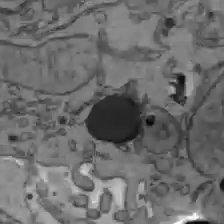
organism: C57BL Mouse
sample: Liver